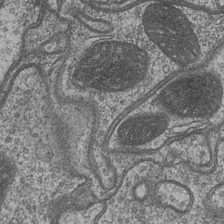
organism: Drosophila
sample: Optic medulla